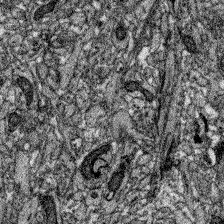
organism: Zebrafish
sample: Larval olfactory bulb